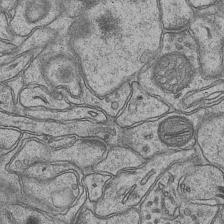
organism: Mouse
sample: CA1 Hippocampus